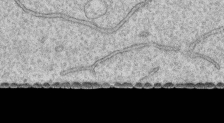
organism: Human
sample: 1205lu cells